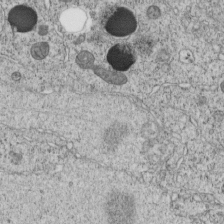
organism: C. elegans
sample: C. elegans embryo early stage